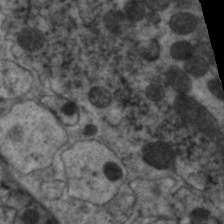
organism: C. elegans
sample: Pharynx